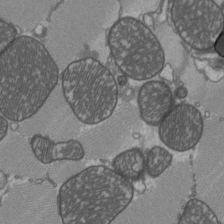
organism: C57BL Mouse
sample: Heart